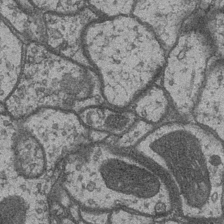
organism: Drosophila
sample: Optic medulla